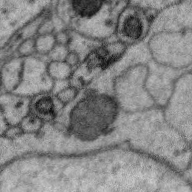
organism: Zebra finch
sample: Brain